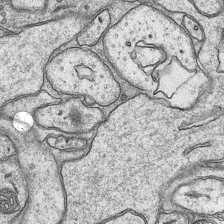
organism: Mouse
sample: CA1 Hippocampus